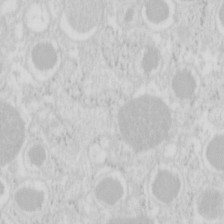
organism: Mouse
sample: Pancreas